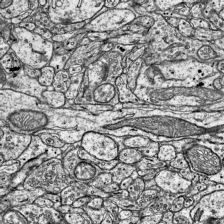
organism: Mouse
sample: Visual Cortex